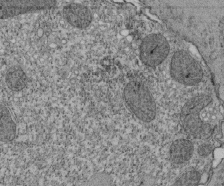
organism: Tetrahymena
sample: Cilia in tetrahymena